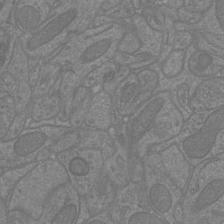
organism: Mouse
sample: Cortical neurons